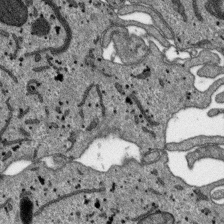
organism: Human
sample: Lung epithelial cells, uninfected (mock) control